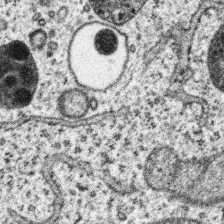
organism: Human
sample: HeLa cells